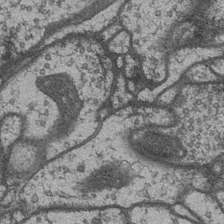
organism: Drosophila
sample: Optic medulla